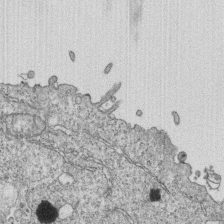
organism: Human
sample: HeLa cell HIV synapse